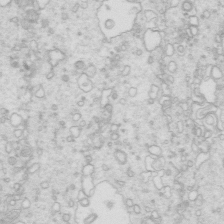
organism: Mouse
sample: Multiciliated cells